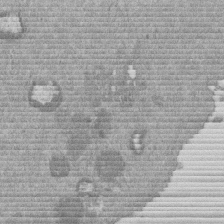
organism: Mouse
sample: Dividing mouse embryo 1 cell stage